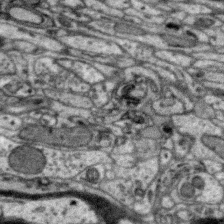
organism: Zebra finch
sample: Brain